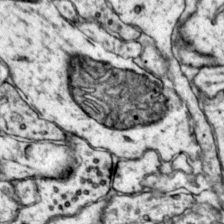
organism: Mouse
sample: Primary visual cortex